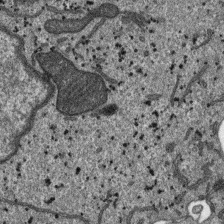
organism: Human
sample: Lung epithelial cells infected with SARS-CoV-2